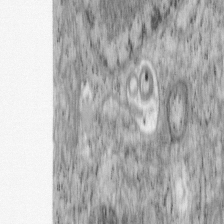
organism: Human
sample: HeLa cells